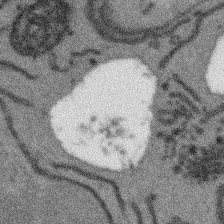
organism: Arabidopsis thaliana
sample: Root tip